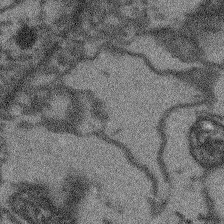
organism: Arabidopsis thaliana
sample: Root tip